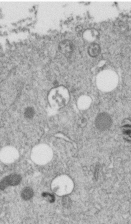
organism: C. elegans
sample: C. elegans embryo early stage